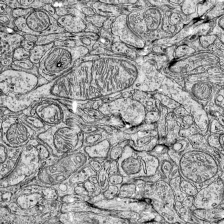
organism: Mouse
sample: Visual Cortex